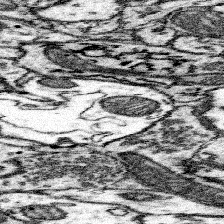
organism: Mouse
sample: Somatosensory cortex neuropil